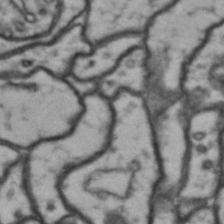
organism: Drosophila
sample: Brain